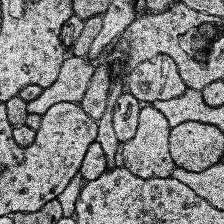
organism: Human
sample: Temporal Lobe